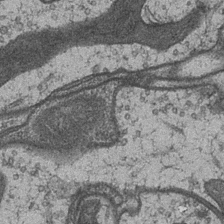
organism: Drosophila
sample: Optic medulla